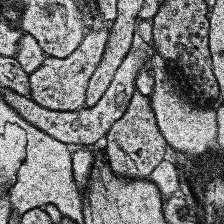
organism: Human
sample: Temporal Lobe